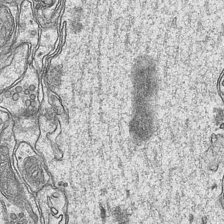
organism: Mouse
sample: CA1 Hippocampus